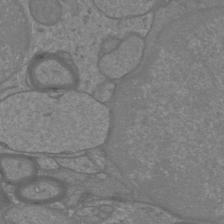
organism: Mouse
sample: Cortical neurons